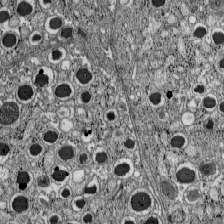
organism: C57BL Mouse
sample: Pancreatic islet